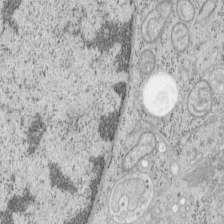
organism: Mouse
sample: OT-I killer T cells with ID8 ovarian cancer cells